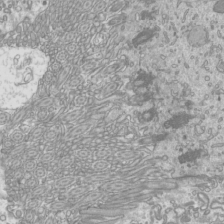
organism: Mouse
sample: Cilia; mouse epididymis